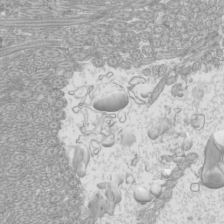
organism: Mouse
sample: Cilia; mouse epididymis